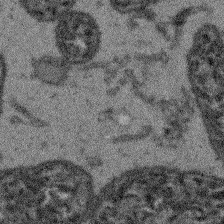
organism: Arabidopsis thaliana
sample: Root tip